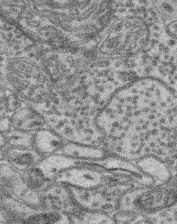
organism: Mouse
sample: Retina